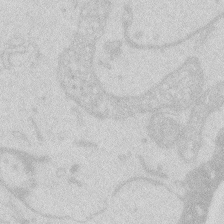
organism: Zebrafish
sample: Macrophage